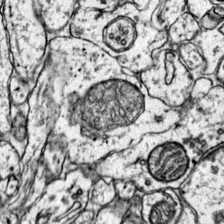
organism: Mouse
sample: Primary visual cortex